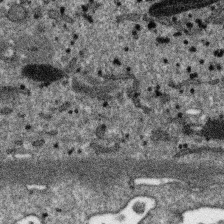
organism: Human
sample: Lung epithelial cells infected with SARS-CoV-2